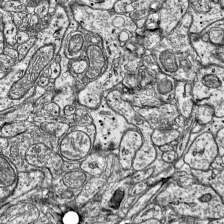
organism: Mouse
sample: Visual Cortex